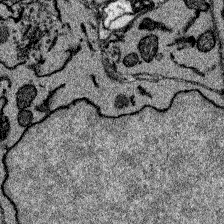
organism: Zebrafish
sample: Larval olfactory bulb